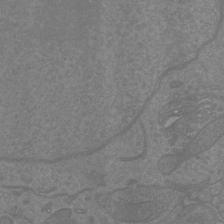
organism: Mouse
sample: Cortical neurons